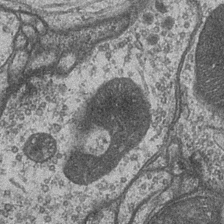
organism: Drosophila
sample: Optic medulla